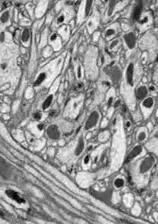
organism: Drosophila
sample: Optic lobe